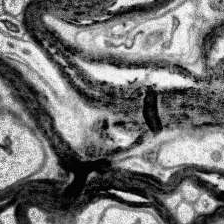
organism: Human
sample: Temporal Lobe